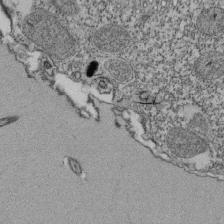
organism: Tetrahymena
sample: Cilia in tetrahymena